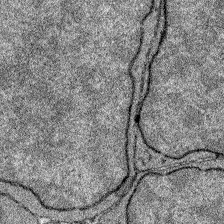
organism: Zebrafish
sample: Larval olfactory bulb